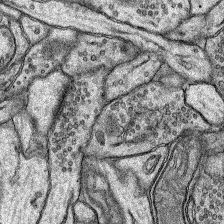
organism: Rat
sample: Hippocampus